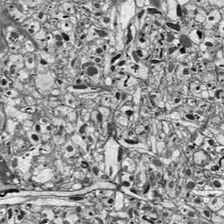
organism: Drosophila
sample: Optic lobe